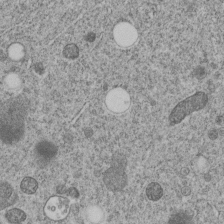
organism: C. elegans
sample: C. elegans embryo early stage